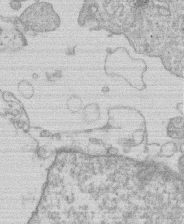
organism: Human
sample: Macrophage cells